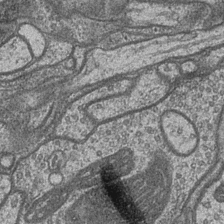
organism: Drosophila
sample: Optic medulla